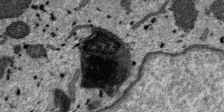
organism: Human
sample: Lung epithelial cells, uninfected (mock) control